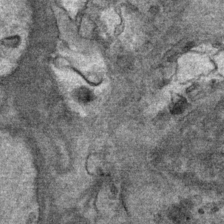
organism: Mouse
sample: Mouse Salivary gland